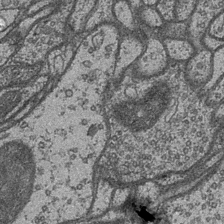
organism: Drosophila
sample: Optic medulla